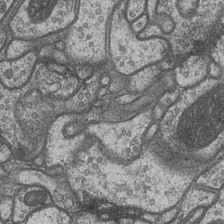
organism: Drosophila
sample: Optic medulla